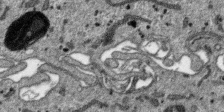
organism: Human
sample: Lung epithelial cells, uninfected (mock) control